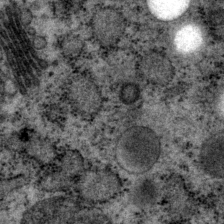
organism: P. pacificus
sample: Pharynx